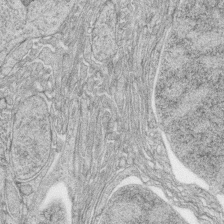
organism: Zebrafish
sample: synaptic ribbons in rod cells and cone cells